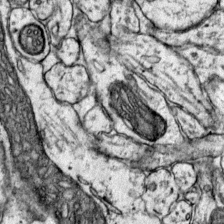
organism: Mouse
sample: Primary visual cortex